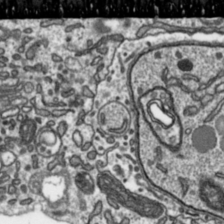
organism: Toxoplasma gondii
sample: Parasites in a vacuole inside a host cell